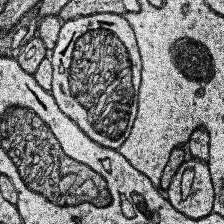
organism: Human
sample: Temporal Lobe